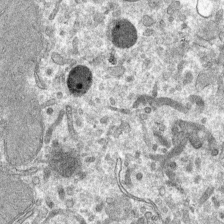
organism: Mouse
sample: Mouse hepatocytes